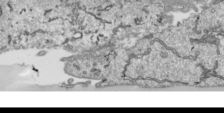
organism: Human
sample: Mitochondria in HCT116 cells